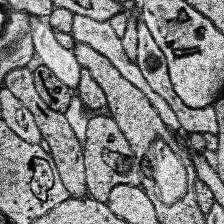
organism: Human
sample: Temporal Lobe